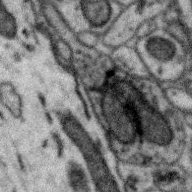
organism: Zebra finch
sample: Brain